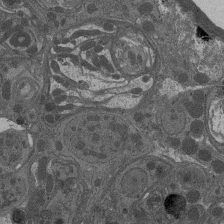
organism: Drosophila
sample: Antenna